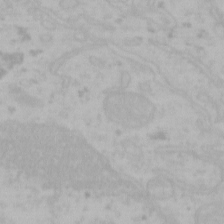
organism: Mouse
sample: Choroid plexus